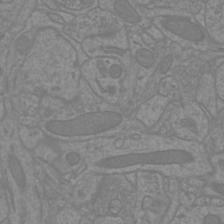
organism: Mouse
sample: Cortical neurons